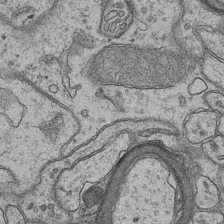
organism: Mouse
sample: CA1 Hippocampus